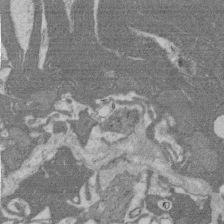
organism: Rat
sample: Salivary granule